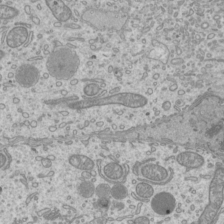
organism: Mouse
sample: Cilia; mouse epididymis